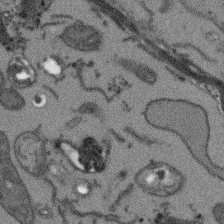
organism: Arabidopsis thaliana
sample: Root tip